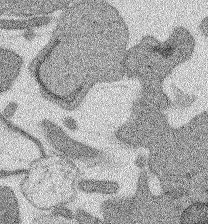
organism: Human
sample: HeLa cells